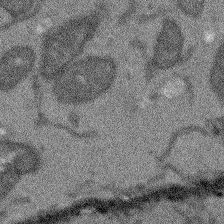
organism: Arabidopsis thaliana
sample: Root tip